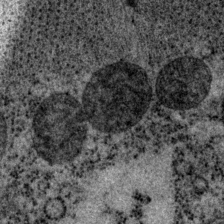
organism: P. pacificus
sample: Pharynx